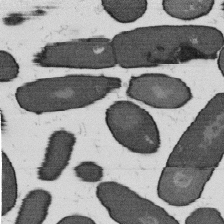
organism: B. subtilis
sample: Bacterial spore